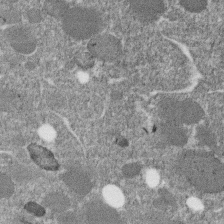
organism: C. elegans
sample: C. elegans embryo early stage